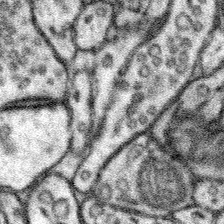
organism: Mouse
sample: Somatosensory cortex neuropil